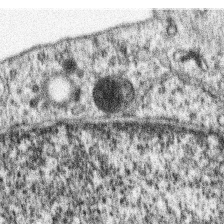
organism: Human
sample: HeLa cells